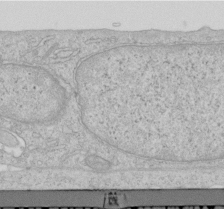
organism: Human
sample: Centriole in RPE cells